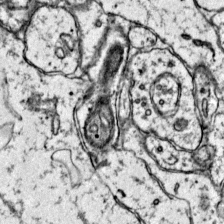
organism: Mouse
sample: Primary visual cortex